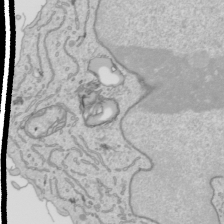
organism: Human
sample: Mitochondria in HCT116 cells